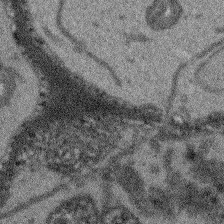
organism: Arabidopsis thaliana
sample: Root tip